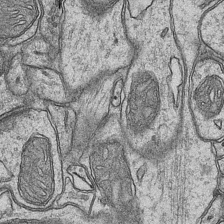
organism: Mouse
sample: CA1 Hippocampus